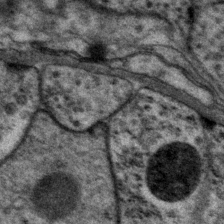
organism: P. pacificus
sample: Pharynx